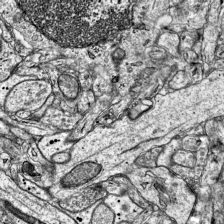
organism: Mouse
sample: Visual Cortex